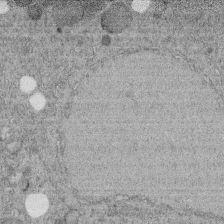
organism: C. elegans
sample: C. elegans embryo early stage